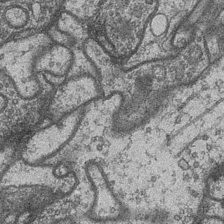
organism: Drosophila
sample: Optic medulla